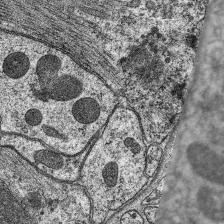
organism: C. elegans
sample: Pharynx